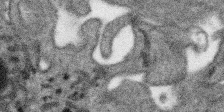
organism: Human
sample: Lung epithelial cells infected with SARS-CoV-2